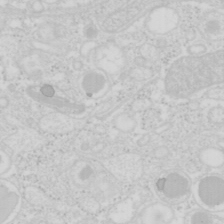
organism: Mouse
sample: Pancreas